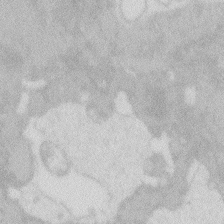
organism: Zebrafish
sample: Macrophage